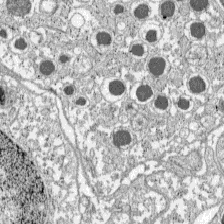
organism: C57BL Mouse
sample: Pancreatic islet